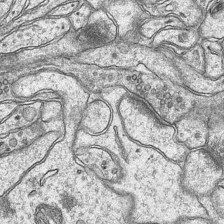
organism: Mouse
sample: CA1 Hippocampus